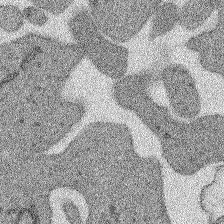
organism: Human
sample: HeLa cells